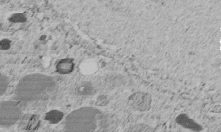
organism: C. elegans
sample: C. elegans embryo early stage